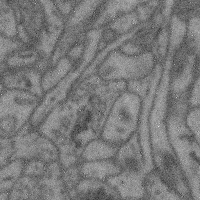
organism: Mouse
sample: Cerebral cortex